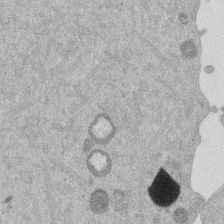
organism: Mouse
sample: Dividing mouse embryo 1 cell stage